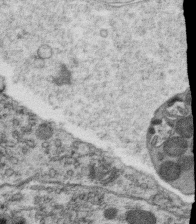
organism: C. elegans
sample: C. elegans oocyte; sperm cells